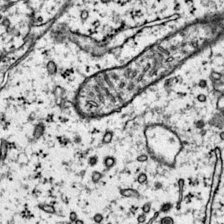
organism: Mouse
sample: Primary visual cortex